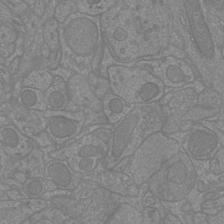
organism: Mouse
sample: Cortical neurons